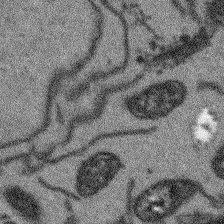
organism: Arabidopsis thaliana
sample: Root tip